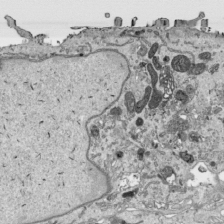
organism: Human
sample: Mitochondria in HCT116 cells